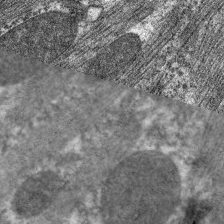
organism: C. elegans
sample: Pharynx